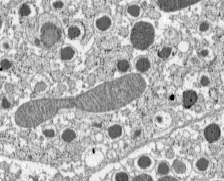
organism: C57BL Mouse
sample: Pancreatic islet